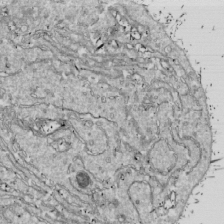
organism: Drosophila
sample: Cell division; meiosis; drosophila spermatocytes